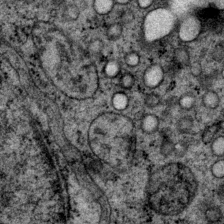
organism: P. pacificus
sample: Pharynx